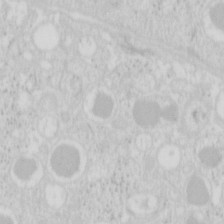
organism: Mouse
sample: Pancreas